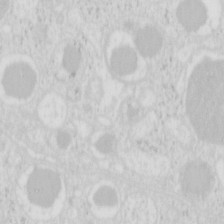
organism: Mouse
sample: Pancreas